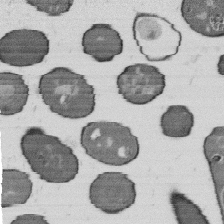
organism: B. subtilis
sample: Bacterial spore